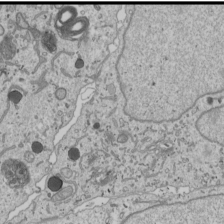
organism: Human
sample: Mitochondria in U2OS cells